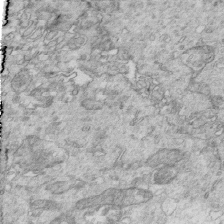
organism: Mouse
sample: Multiciliated cells